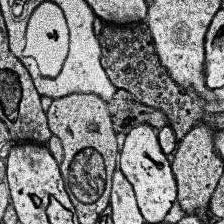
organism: Human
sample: Temporal Lobe